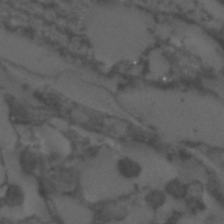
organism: C. elegans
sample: C. elegans embryo